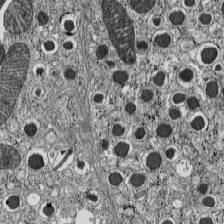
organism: C57BL Mouse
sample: Pancreatic islet